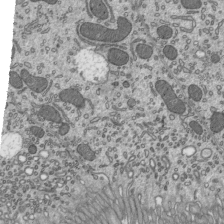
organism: Mouse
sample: Mouse epididymis efferent ductule cilia